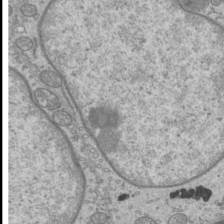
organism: Mouse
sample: Cilia; mouse epididymis